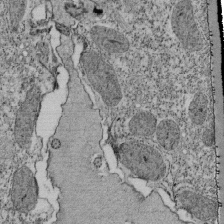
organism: Tetrahymena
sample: Cilia in tetrahymena